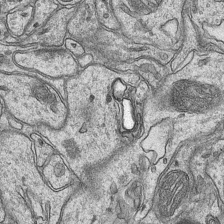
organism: Mouse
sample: CA1 Hippocampus